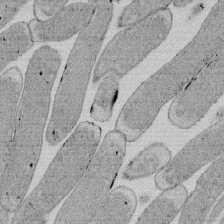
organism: E. coli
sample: Bacterial nucleoid